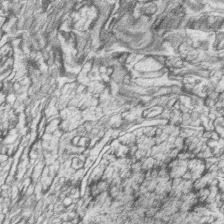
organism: Zebrafish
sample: synaptic ribbons in rod cells and cone cells